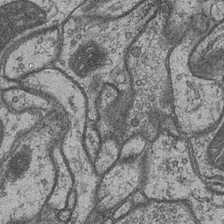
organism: Drosophila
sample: Optic medulla